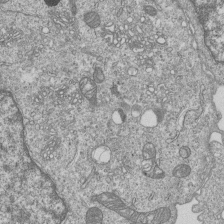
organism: Human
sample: MDA-MB-231 cells